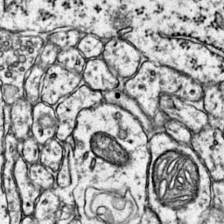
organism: Mouse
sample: Primary visual cortex